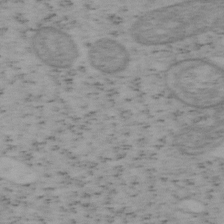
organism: Mouse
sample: OT-I killer T cells with ID8 ovarian cancer cells